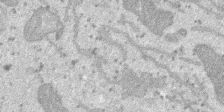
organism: Human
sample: Lung epithelial cells infected with SARS-CoV-2